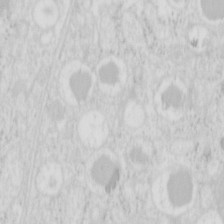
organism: Mouse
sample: Pancreas